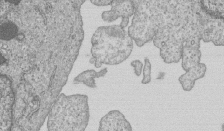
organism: Human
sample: MDA-MB-231 cells